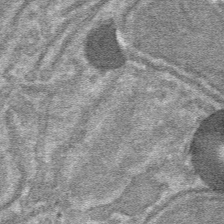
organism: Mouse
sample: Mouse hepatocytes